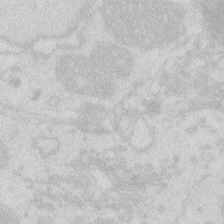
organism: Zebrafish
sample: Macrophage